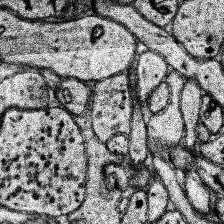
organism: Human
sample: Temporal Lobe